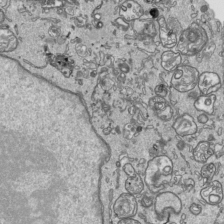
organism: Human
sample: Mitochondria in HCT116 cells